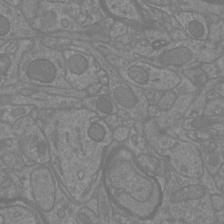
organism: Mouse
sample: Cortical neurons